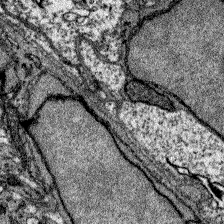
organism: Zebrafish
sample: Larval olfactory bulb